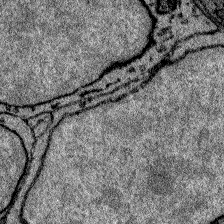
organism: Zebrafish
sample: Larval olfactory bulb